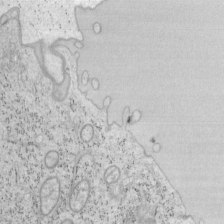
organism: Mouse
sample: OT-I killer T cells with ID8 ovarian cancer cells